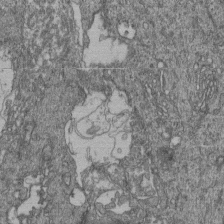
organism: Human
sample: Retinal organoid Rod and Cone cells